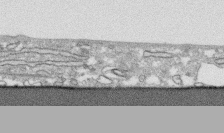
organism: Human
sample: CRL-1474